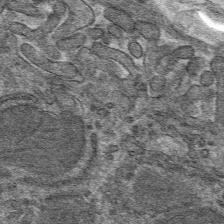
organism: Mouse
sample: Mouse hepatocytes